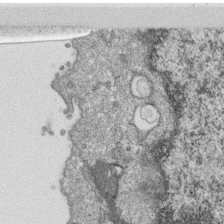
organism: African green monkey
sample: Vero E6 cells infected with SARS-CoV-2